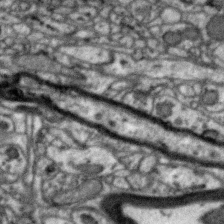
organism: Zebra finch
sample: Brain